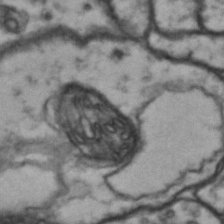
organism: Drosophila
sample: Brain